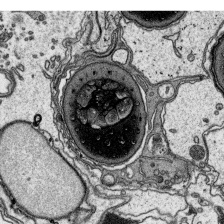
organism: Platynereis dumerilii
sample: Parapodia